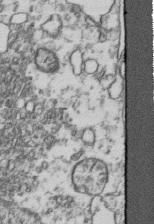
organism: Human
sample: Activated Jurkat CD4+ T cells